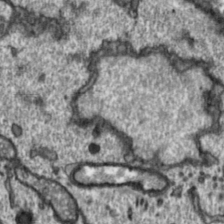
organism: Toxoplasma gondii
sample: Parasites in a vacuole inside a host cell